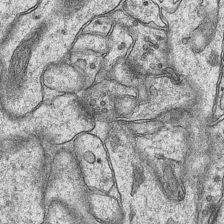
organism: Mouse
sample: CA1 Hippocampus